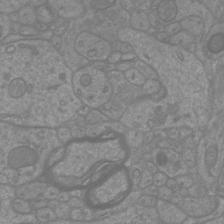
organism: Mouse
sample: Cortical neurons